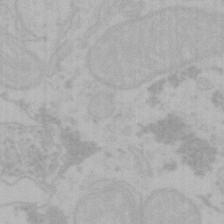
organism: Mouse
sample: Choroid plexus